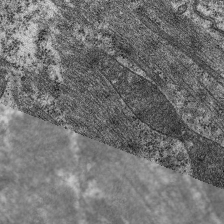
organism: C. elegans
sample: Pharynx